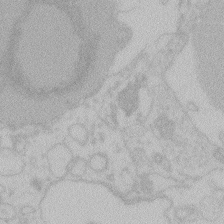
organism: Zebrafish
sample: Macrophage infected with Toxoplasma gondii